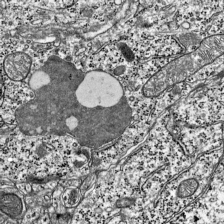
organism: Mouse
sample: Visual Cortex